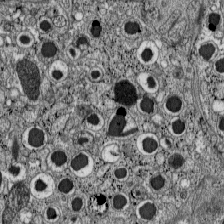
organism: C57BL Mouse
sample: Pancreatic islet